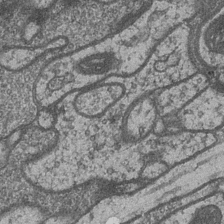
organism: Drosophila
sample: Optic medulla